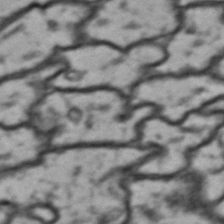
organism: Drosophila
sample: Brain